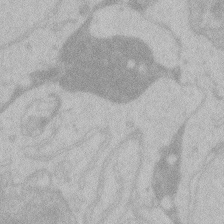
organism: Zebrafish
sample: Macrophage infected with Toxoplasma gondii